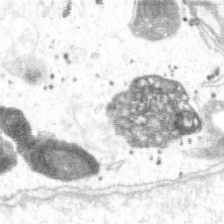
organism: Human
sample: HeLa cells